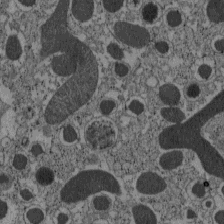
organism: C57BL Mouse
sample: Pancreatic islet